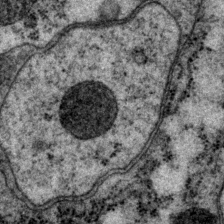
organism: P. pacificus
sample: Pharynx